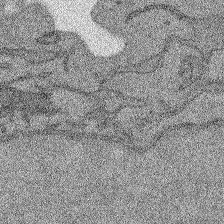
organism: Human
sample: HeLa cells